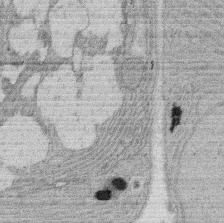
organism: Rat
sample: Salivary granule